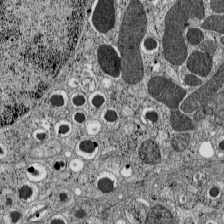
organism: C57BL Mouse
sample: Pancreatic islet